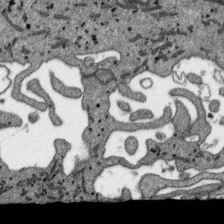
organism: Human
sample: Lung epithelial cells, uninfected (mock) control